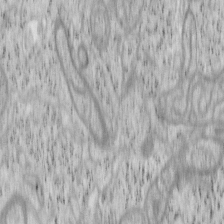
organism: Human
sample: HeLa cells